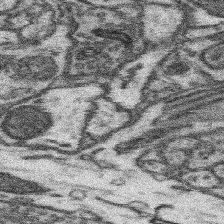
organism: Mouse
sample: Somatosensory cortex neuropil